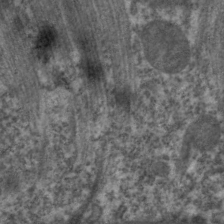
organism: C. elegans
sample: Pharynx